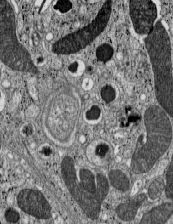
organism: C57BL Mouse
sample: Pancreatic islet